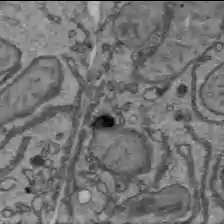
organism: C57BL Mouse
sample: Liver